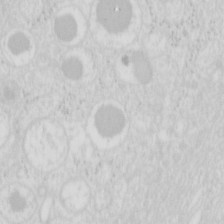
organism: Mouse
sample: Pancreas